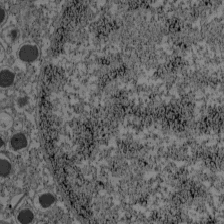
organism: C57BL Mouse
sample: Pancreatic islet